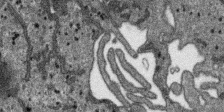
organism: Human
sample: Lung epithelial cells infected with SARS-CoV-2